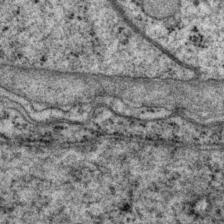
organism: P. pacificus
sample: Pharynx